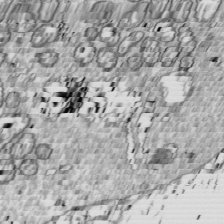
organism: Drosophila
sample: Cell division; meiosis; drosophila spermatocytes